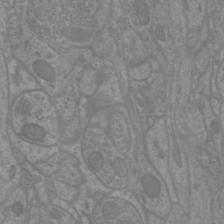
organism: Mouse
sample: Cortical neurons